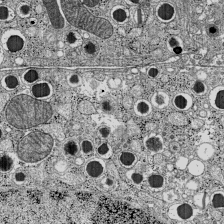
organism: C57BL Mouse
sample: Pancreatic islet